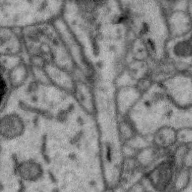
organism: Zebra finch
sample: Brain